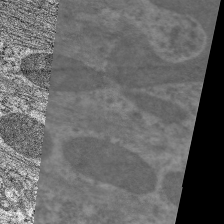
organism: C. elegans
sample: Pharynx